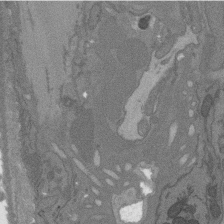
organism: C. elegans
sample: AFD neurons C. elegans